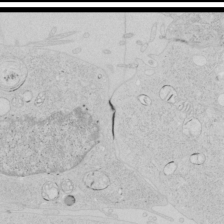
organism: Human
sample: Mitochondria in HCT116 cells